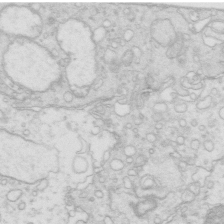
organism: Mouse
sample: Multiciliated cells